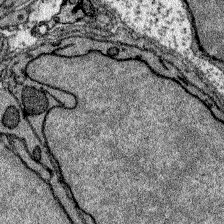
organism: Zebrafish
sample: Larval olfactory bulb